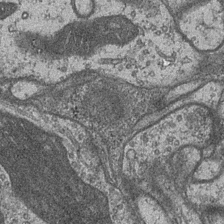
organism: Drosophila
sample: Optic medulla